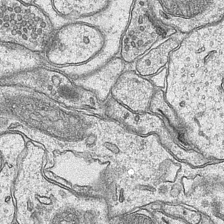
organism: Mouse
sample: CA1 Hippocampus